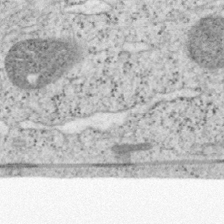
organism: Mouse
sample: OT-I killer T cells with ID8 ovarian cancer cells